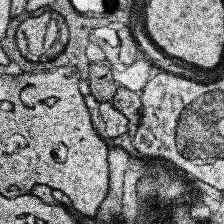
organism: Human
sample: Temporal Lobe